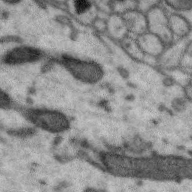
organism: Zebra finch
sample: Brain